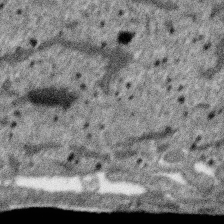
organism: Human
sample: Lung epithelial cells infected with SARS-CoV-2